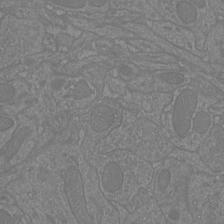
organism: Mouse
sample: Cortical neurons